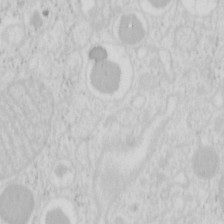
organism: Mouse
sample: Pancreas